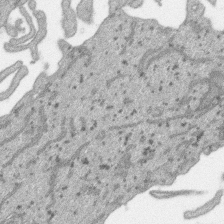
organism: Human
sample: Lung epithelial cells infected with SARS-CoV-2